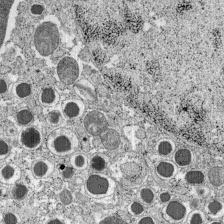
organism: C57BL Mouse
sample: Pancreatic islet